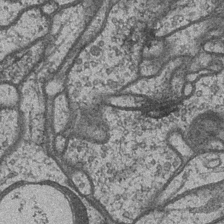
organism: Drosophila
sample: Optic medulla